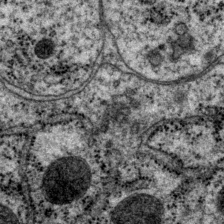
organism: P. pacificus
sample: Pharynx